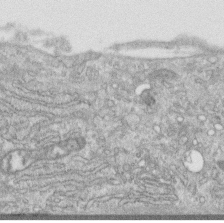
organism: Human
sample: Centriole in RPE cells